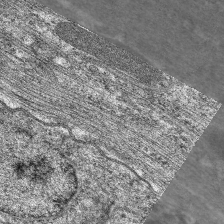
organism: C. elegans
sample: Pharynx